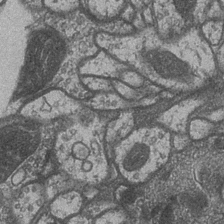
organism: Drosophila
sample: Optic medulla